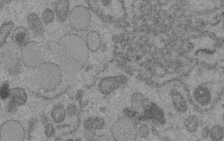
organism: C. elegans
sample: C. elegans embryo early stage